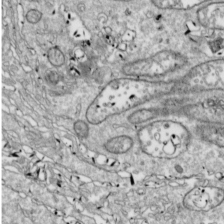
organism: Drosophila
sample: Cell division; meiosis; drosophila spermatocytes